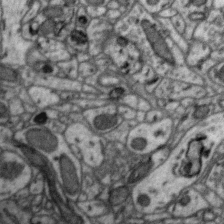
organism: Zebra finch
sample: Brain